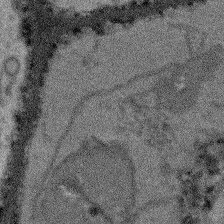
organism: Arabidopsis thaliana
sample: Root tip